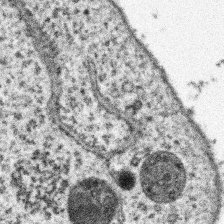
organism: Human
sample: HeLa cells